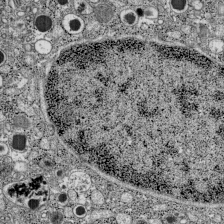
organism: C57BL Mouse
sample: Pancreatic islet